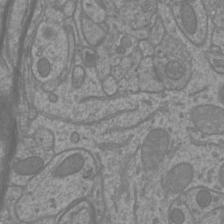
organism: Mouse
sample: Cortical neurons